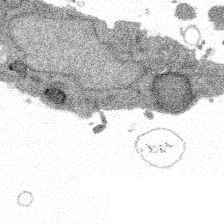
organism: Spongilla lacustris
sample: Multiple